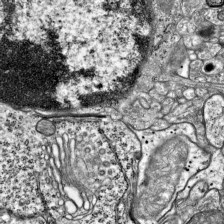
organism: Mouse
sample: Visual Cortex